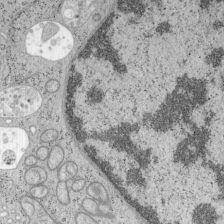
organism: Mouse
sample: OT-I killer T cells with ID8 ovarian cancer cells